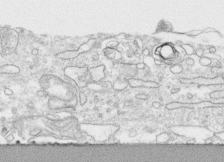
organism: Human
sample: CRL-1474